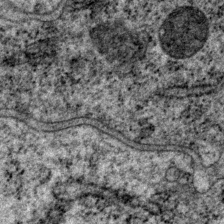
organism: P. pacificus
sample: Pharynx